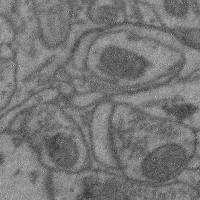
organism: Mouse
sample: Cerebral cortex